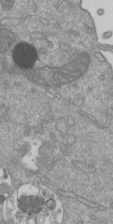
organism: Mouse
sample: ED-1 cell nuclei; centrioles